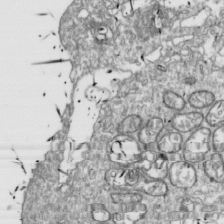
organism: Drosophila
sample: Cell division; meiosis; drosophila spermatocytes